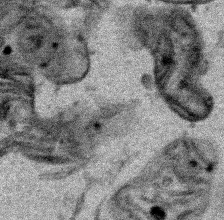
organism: Human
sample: Mitochondria in HCT116 cells